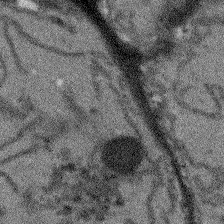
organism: Arabidopsis thaliana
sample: Root tip